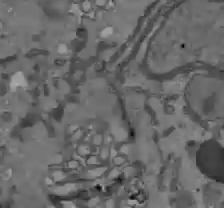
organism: C57BL Mouse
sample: Liver